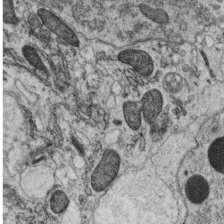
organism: C. elegans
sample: C. elegans oocyte; sperm cells